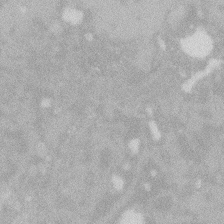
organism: Zebrafish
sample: Macrophage